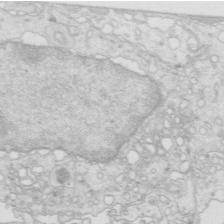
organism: Mouse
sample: Multiciliated cells